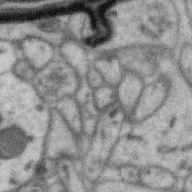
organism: Zebra finch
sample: Brain